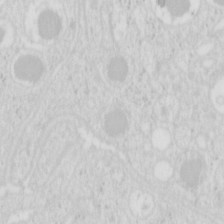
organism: Mouse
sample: Pancreas